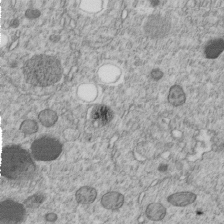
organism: C. elegans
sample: C. elegans embryo early stage